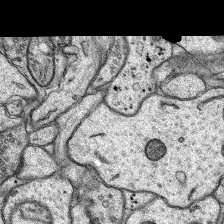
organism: Rat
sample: Hippocampus